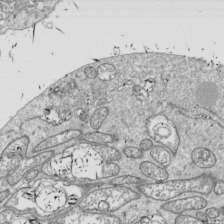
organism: Drosophila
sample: Cell division; meiosis; drosophila spermatocytes